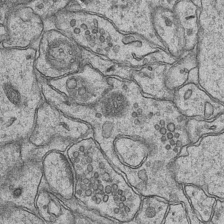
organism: Mouse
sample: CA1 Hippocampus